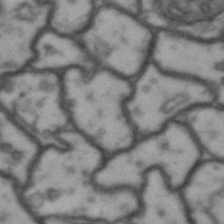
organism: Drosophila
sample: Brain